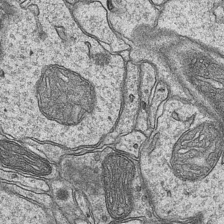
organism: Mouse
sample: CA1 Hippocampus